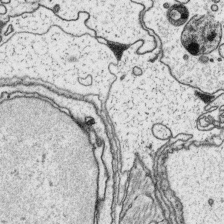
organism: Platynereis dumerilii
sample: Parapodia